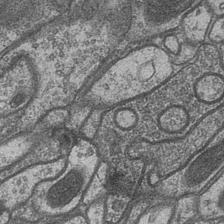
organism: Drosophila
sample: Optic medulla